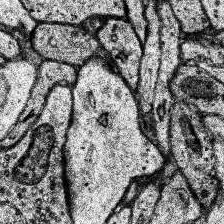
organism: Human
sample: Temporal Lobe